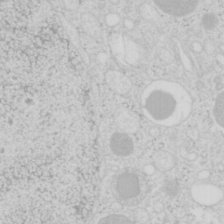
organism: Mouse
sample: Pancreas